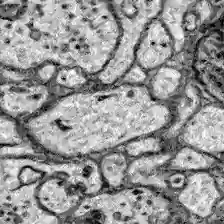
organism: Zebrafish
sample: Brain